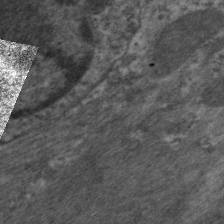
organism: C. elegans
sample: Pharynx